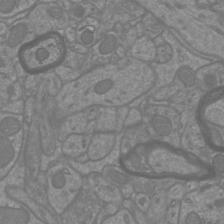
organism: Mouse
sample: Cortical neurons